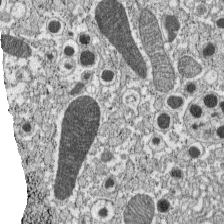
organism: C57BL Mouse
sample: Pancreatic islet